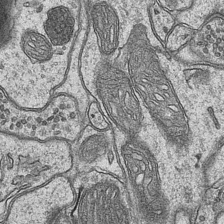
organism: Mouse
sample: CA1 Hippocampus